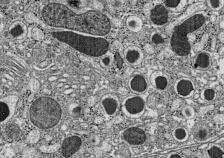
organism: C57BL Mouse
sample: Pancreatic islet